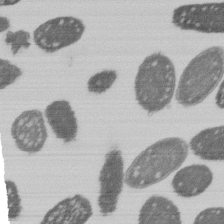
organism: E. coli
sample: Bacterial nucleoid